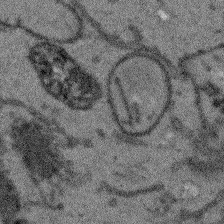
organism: Arabidopsis thaliana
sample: Root tip